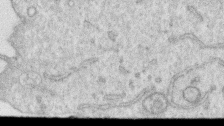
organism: Human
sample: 1205lu cells